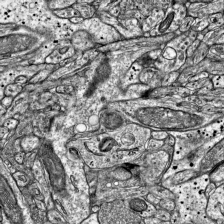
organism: Mouse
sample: Visual Cortex